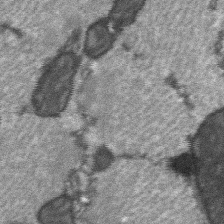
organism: C57BL Mouse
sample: Soleus